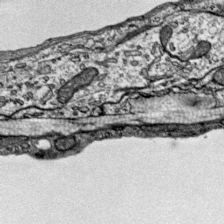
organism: Mouse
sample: Visual Cortex